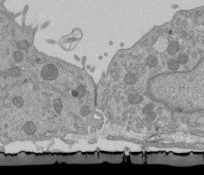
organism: Mouse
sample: ED-1 cell nuclei; centrioles